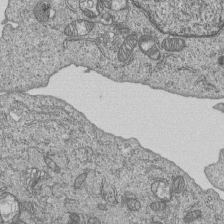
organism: Human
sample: MDA-MB-231 cells